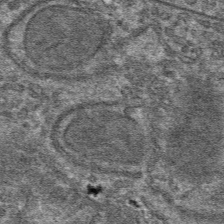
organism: Mouse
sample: Mouse hepatocytes